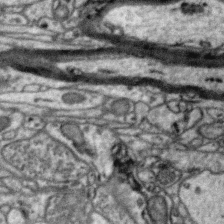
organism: Zebra finch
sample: Brain